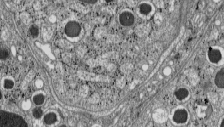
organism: C57BL Mouse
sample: Pancreatic islet